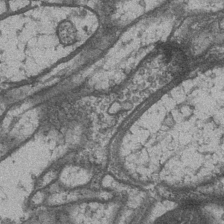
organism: Drosophila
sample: Optic medulla